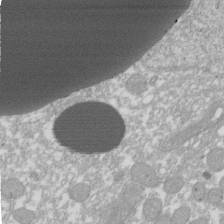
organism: Xenopus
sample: Cilia; centrioles in frog embryo cells